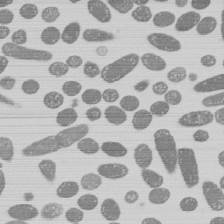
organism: E. coli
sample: Bacterial nucleoid